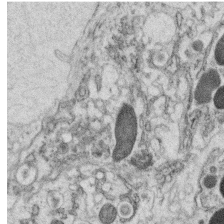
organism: C. elegans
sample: C. elegans oocyte; sperm cells